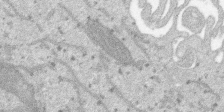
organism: Human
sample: Lung epithelial cells infected with SARS-CoV-2